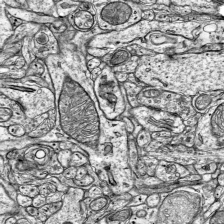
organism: Mouse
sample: Visual Cortex